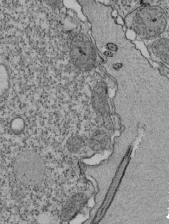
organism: Tetrahymena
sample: Cilia in tetrahymena